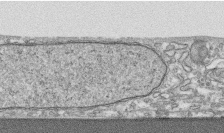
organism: Human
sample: CRL-1474